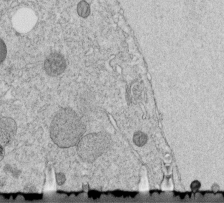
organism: C. elegans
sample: C. elegans embryo early stage